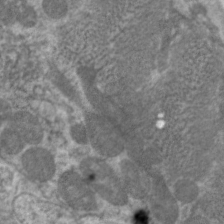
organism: C. elegans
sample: Pharynx